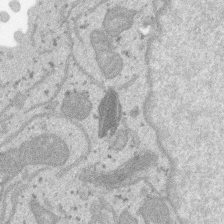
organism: Human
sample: Lung epithelial cells infected with SARS-CoV-2